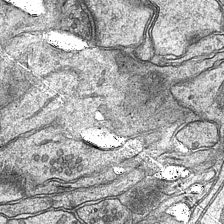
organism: Mouse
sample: CA1 Hippocampus